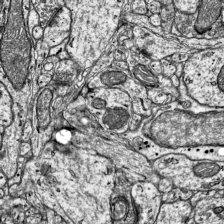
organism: Mouse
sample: Visual Cortex